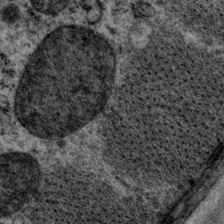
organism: P. pacificus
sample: Pharynx